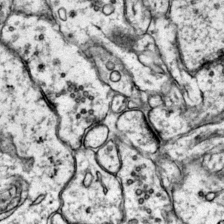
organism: Mouse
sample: Primary visual cortex